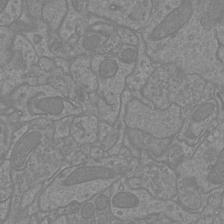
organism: Mouse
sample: Cortical neurons